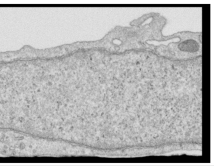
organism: Human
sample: Centriole in RPE cells